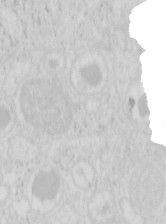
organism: Mouse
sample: Pancreas